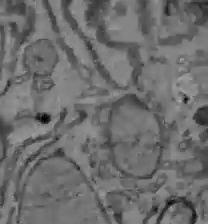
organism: C57BL Mouse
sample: Liver